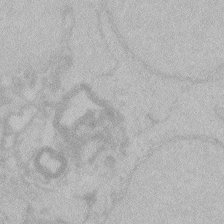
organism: Zebrafish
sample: Macrophage infected with Toxoplasma gondii